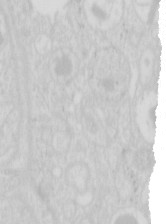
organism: Mouse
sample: Pancreas